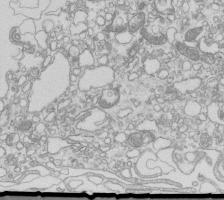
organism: Mouse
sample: Macrophages